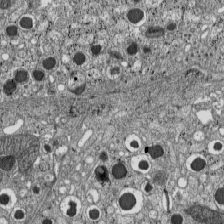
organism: C57BL Mouse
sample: Pancreatic islet